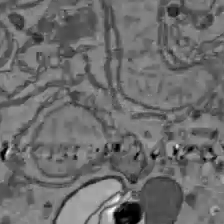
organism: C57BL Mouse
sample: Liver